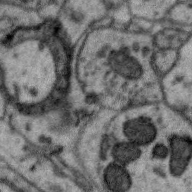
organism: Zebra finch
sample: Brain